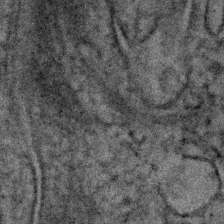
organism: Human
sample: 1205lu cells